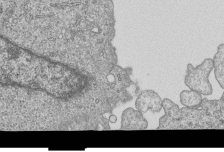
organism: Human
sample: MDA-MB-231 cells